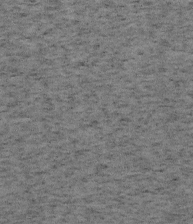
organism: Mouse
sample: OT-I killer T cells with ID8 ovarian cancer cells